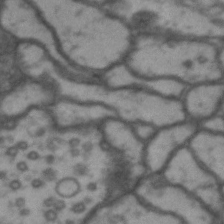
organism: Drosophila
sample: Brain